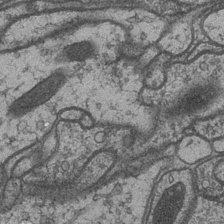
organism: Drosophila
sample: Optic medulla